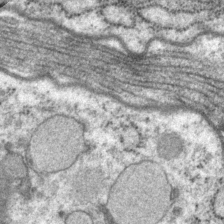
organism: P. pacificus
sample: Pharynx